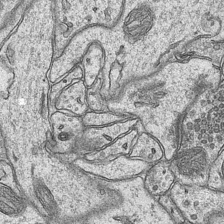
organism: Mouse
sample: CA1 Hippocampus